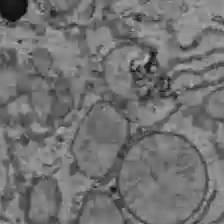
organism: C57BL Mouse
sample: Liver